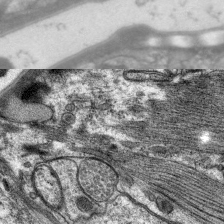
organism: C. elegans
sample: Pharynx